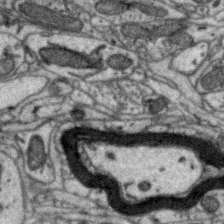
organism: Zebra finch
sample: Brain